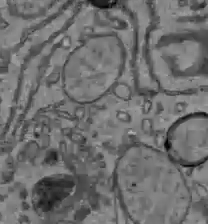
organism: C57BL Mouse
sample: Liver